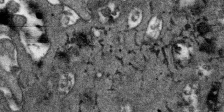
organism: Human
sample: Lung epithelial cells, uninfected (mock) control